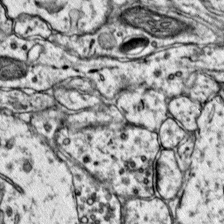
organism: Mouse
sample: Primary visual cortex